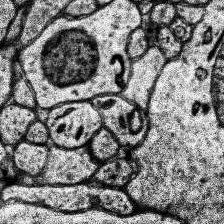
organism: Human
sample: Temporal Lobe